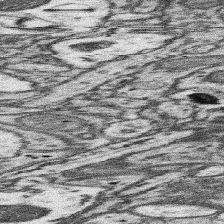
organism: Mouse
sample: Somatosensory cortex neuropil